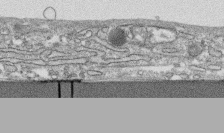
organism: Human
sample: CRL-1474